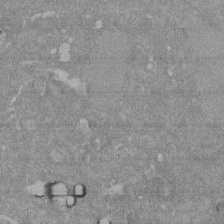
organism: Mouse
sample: ED-1 cell nuclei; centrioles